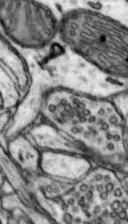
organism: Mouse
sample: Nucleus accumbens